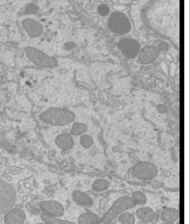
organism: Mouse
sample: Cilia; mouse epididymis